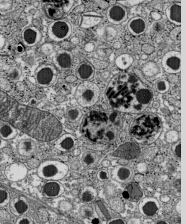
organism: C57BL Mouse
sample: Pancreatic islet